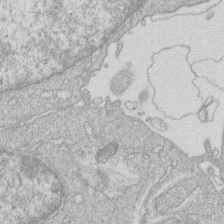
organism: Human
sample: Macrophage cells